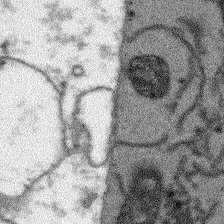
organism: Arabidopsis thaliana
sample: Root tip